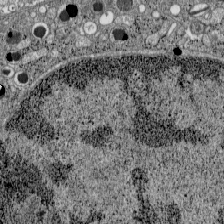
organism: C57BL Mouse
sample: Pancreatic islet